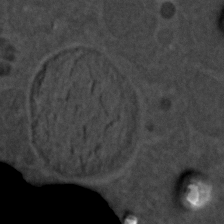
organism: C. elegans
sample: C. elegans embryo